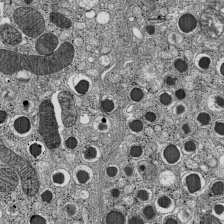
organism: C57BL Mouse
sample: Pancreatic islet